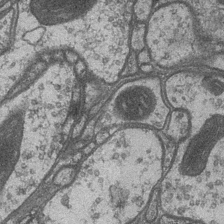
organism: Drosophila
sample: Optic medulla